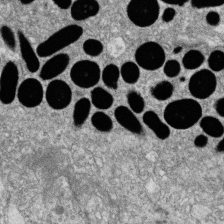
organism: Zebrafish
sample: Cilia; retinal pigment epithelium